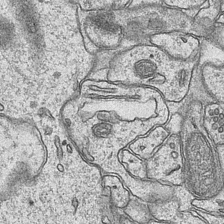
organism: Mouse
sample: CA1 Hippocampus